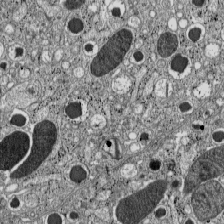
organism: C57BL Mouse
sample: Pancreatic islet